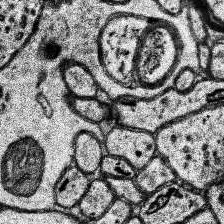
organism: Human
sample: Temporal Lobe